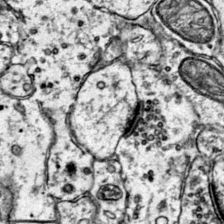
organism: Mouse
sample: Primary visual cortex